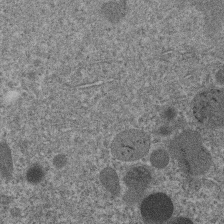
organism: C. elegans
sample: C. elegans embryo early stage